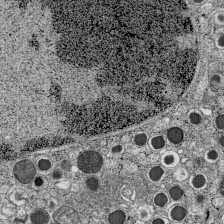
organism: C57BL Mouse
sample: Pancreatic islet